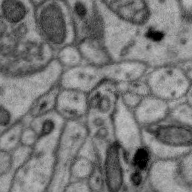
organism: Zebra finch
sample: Brain